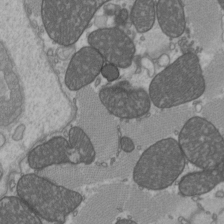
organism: C57BL Mouse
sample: Heart